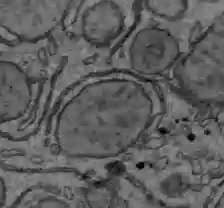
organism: C57BL Mouse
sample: Liver